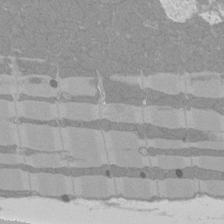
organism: Rat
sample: Left ventricle